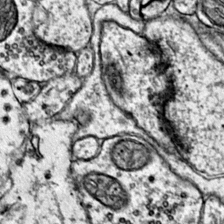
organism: Mouse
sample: Primary visual cortex